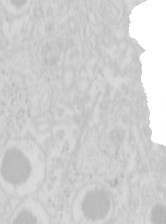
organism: Mouse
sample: Pancreas